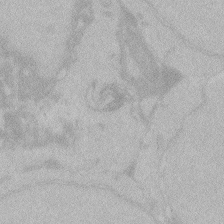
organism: Zebrafish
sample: Macrophage infected with Toxoplasma gondii